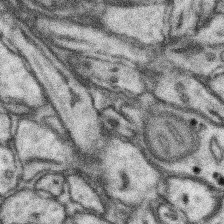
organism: Mouse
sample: Somatosensory cortex neuropil